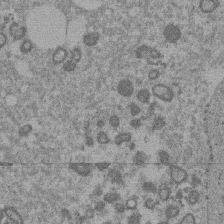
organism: Mouse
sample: Dividing mouse embryo 1 cell stage